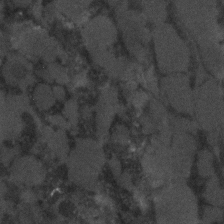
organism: C. elegans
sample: C. elegans embryo